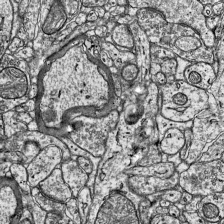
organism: Mouse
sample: Visual Cortex